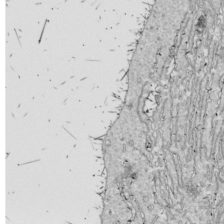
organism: Drosophila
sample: Cell division; meiosis; drosophila spermatocytes